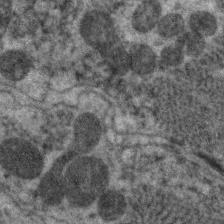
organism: C. elegans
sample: Pharynx